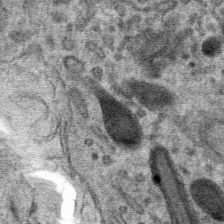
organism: Mouse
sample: Mouse hepatocytes